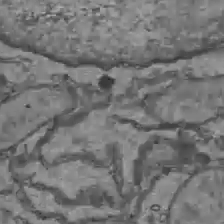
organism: C57BL Mouse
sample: Liver